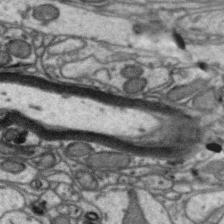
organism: Zebra finch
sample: Brain